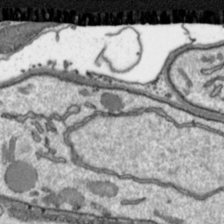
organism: Toxoplasma gondii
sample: Parasites in a vacuole inside a host cell